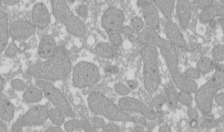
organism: Xenopus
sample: Cilia; centrioles in frog embryo cells